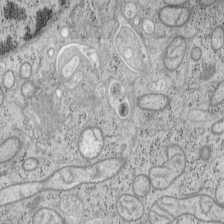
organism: Mouse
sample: OT-I killer T cells with ID8 ovarian cancer cells